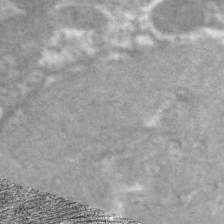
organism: C. elegans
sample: Pharynx